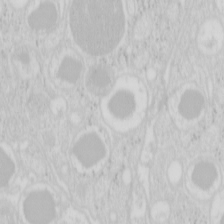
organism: Mouse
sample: Pancreas